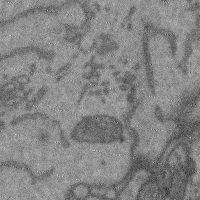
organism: Mouse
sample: Cerebral cortex